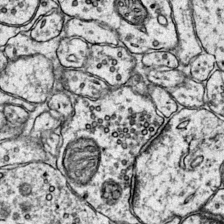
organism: Mouse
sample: Primary visual cortex